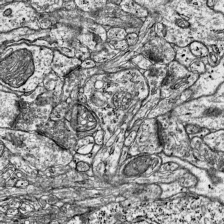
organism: Mouse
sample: Visual Cortex